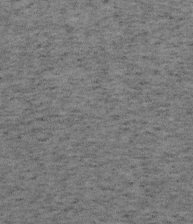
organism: Mouse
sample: OT-I killer T cells with ID8 ovarian cancer cells